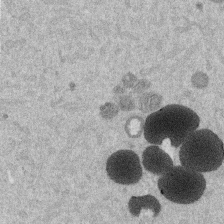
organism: Mouse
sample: Dividing mouse embryo 1 cell stage